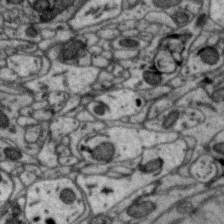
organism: Zebra finch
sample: Brain